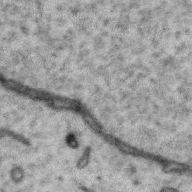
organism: Zebra finch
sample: Brain